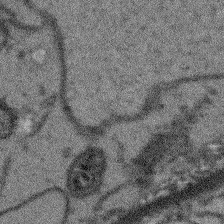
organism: Arabidopsis thaliana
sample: Root tip